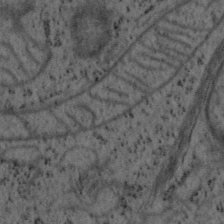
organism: Human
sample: HeLa cells